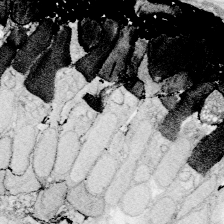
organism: Zebrafish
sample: Whole-Brain